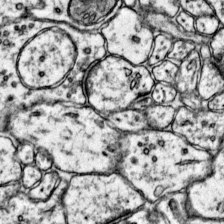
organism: Mouse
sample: Primary visual cortex